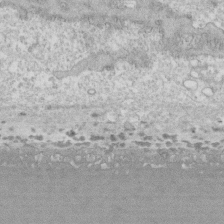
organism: Human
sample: CRL-1474